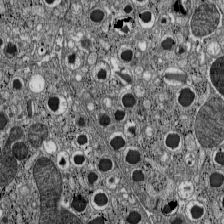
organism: C57BL Mouse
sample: Pancreatic islet